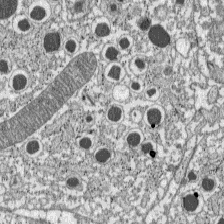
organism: C57BL Mouse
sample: Pancreatic islet